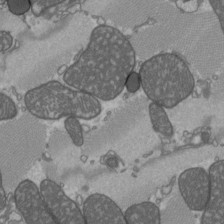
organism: C57BL Mouse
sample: Heart